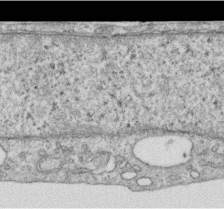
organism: Human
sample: Centriole in RPE cells